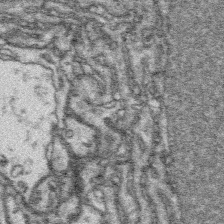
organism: Platynereis dumerilii